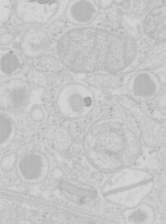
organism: Mouse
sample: Pancreas